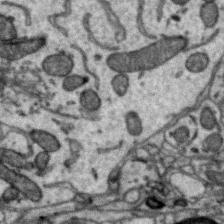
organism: Zebra finch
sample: Brain